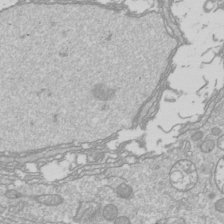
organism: Drosophila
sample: Cell division; meiosis; drosophila spermatocytes